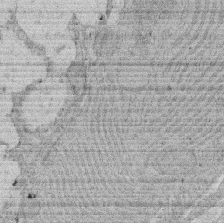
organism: Rat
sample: Salivary granule